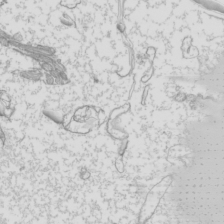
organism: Mouse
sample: Cilia; mouse epididymis